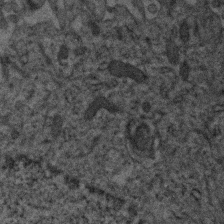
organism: Human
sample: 1205lu cells